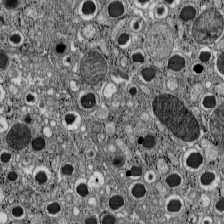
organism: C57BL Mouse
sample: Pancreatic islet